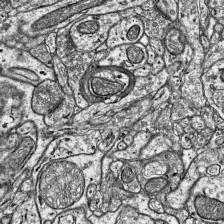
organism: Mouse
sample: Visual Cortex